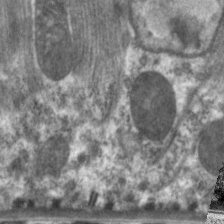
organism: C. elegans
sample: Pharynx